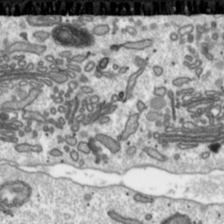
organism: Toxoplasma gondii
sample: Parasites in a vacuole inside a host cell